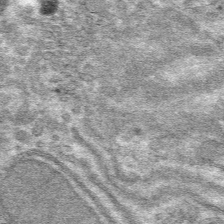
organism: Mouse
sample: Mouse hepatocytes